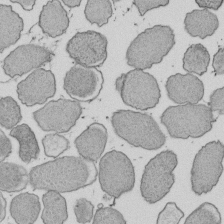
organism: E. coli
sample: Bacterial nucleoid